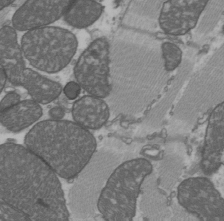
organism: C57BL Mouse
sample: Heart